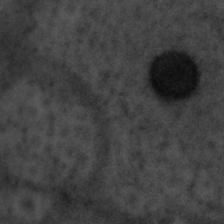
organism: Tuwongella immobilis